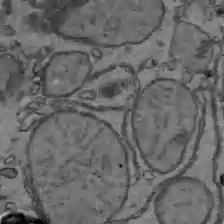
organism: C57BL Mouse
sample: Liver